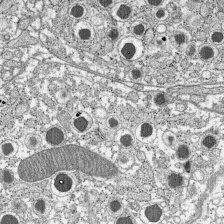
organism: C57BL Mouse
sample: Pancreatic islet